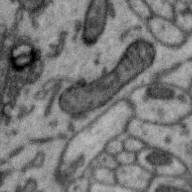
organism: Zebra finch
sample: Brain